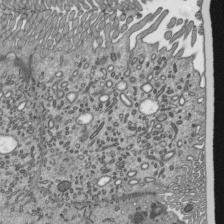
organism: Mouse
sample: Mouse epididymis efferent ductule cilia